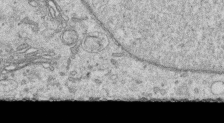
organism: Human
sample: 1205lu cells